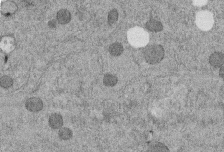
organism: C. elegans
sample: C. elegans embryo early stage